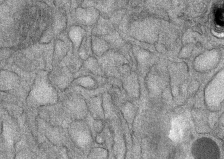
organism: Mouse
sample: Mouse Salivary gland